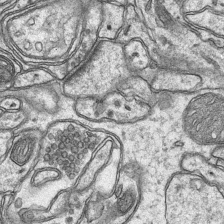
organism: Mouse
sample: CA1 Hippocampus